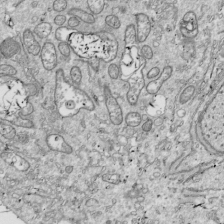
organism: Drosophila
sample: Cell division; meiosis; drosophila spermatocytes